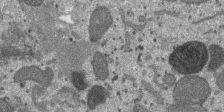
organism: Human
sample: Lung epithelial cells infected with SARS-CoV-2